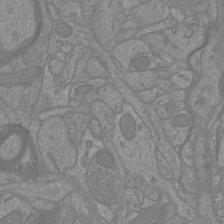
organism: Mouse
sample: Cortical neurons